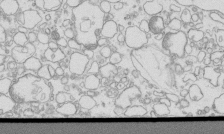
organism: Mouse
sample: Macrophages